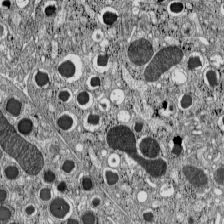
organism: C57BL Mouse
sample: Pancreatic islet